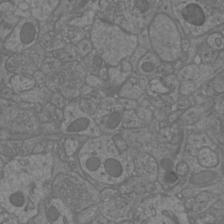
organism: Mouse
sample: Cortical neurons